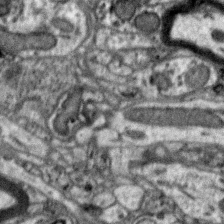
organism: Zebra finch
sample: Brain